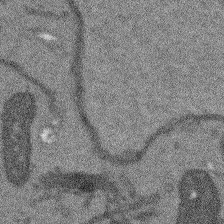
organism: Arabidopsis thaliana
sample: Root tip